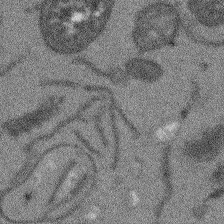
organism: Arabidopsis thaliana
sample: Root tip